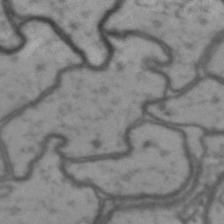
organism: Drosophila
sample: Brain